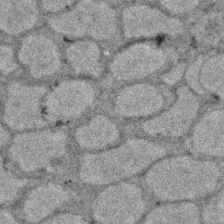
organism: Zebrafish